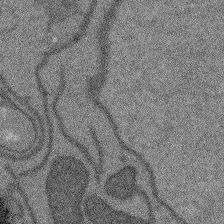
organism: Arabidopsis thaliana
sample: Root tip